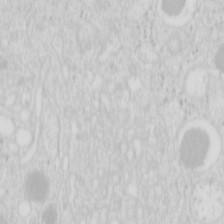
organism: Mouse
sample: Pancreas